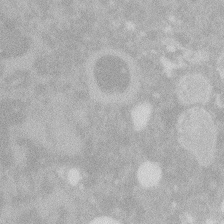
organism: Zebrafish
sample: Macrophage